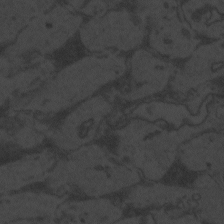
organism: Zebrafish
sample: Macrophage infected with Toxoplasma gondii